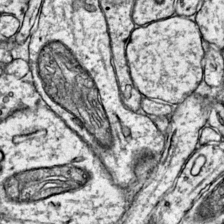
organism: Mouse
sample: Primary visual cortex